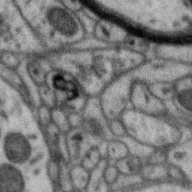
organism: Zebra finch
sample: Brain